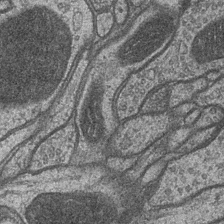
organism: Drosophila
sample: Optic medulla